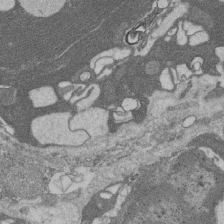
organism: Rat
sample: Salivary granule